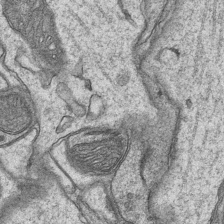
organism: Mouse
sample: CA1 Hippocampus